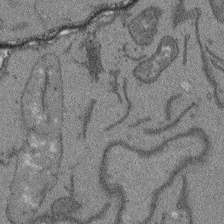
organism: Arabidopsis thaliana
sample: Root tip